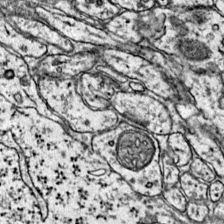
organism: Mouse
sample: Primary visual cortex